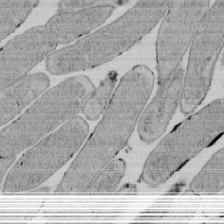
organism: E. coli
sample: Bacterial nucleoid